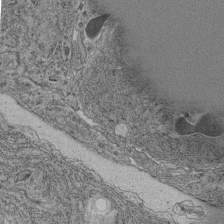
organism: C. elegans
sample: C. elegans pharynx